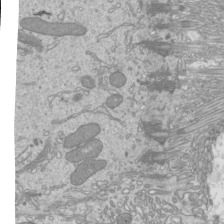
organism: Mouse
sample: Cilia; mouse epididymis